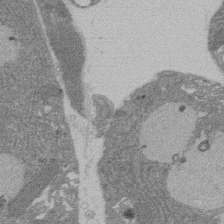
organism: Rat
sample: Salivary granule